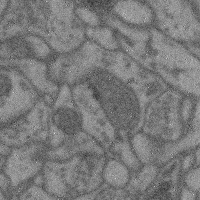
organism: Mouse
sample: Cerebral cortex